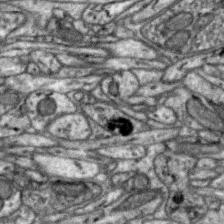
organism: Zebra finch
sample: Brain